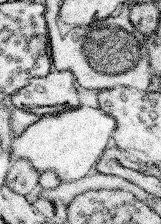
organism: Mouse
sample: Somatosensory cortex neuropil